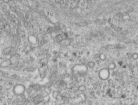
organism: Human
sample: Centriole in RPE cells